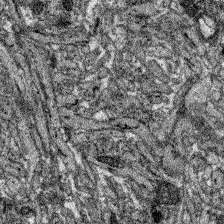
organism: Zebrafish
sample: Larval olfactory bulb